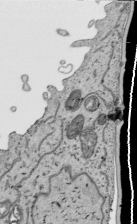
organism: Human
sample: Mitochondria in HCT116 cells